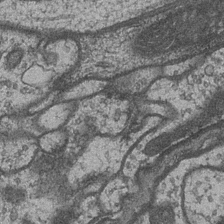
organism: Drosophila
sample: Optic medulla